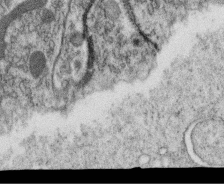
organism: C. elegans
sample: C. elegans oocyte; sperm cells